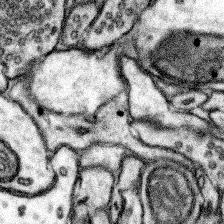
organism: Mouse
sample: Somatosensory cortex neuropil